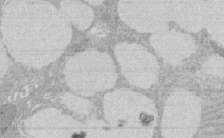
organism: Rat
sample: Salivary granule